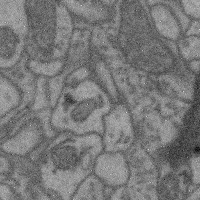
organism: Mouse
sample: Cerebral cortex